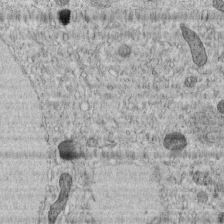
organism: C. elegans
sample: C. elegans embryo early stage